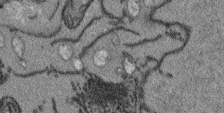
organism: Arabidopsis thaliana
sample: Root tip